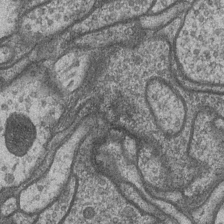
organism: Drosophila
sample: Optic medulla